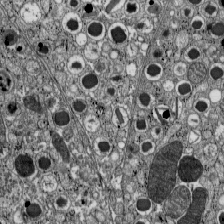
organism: C57BL Mouse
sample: Pancreatic islet